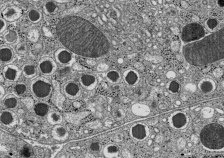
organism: C57BL Mouse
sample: Pancreatic islet